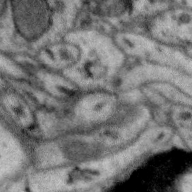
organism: Zebra finch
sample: Brain